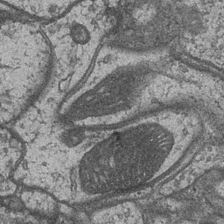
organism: Drosophila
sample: Optic medulla